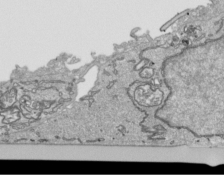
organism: Human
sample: Mitochondria in HCT116 cells